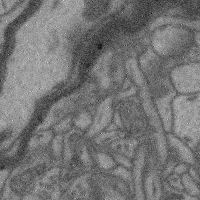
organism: Mouse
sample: Cerebral cortex